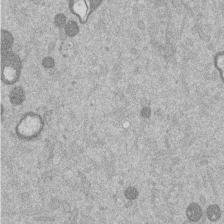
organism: Mouse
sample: Dividing mouse embryo 1 cell stage